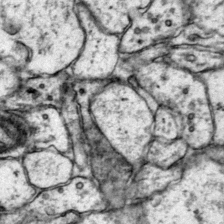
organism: Mouse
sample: Primary visual cortex